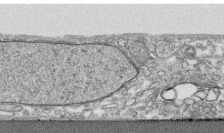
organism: Human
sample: CRL-1474